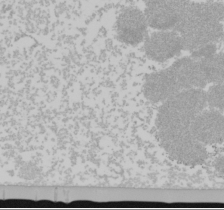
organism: Mouse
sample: Cancer cell death in ED-1 cells